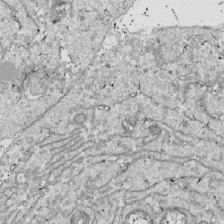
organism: Drosophila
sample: Cell division; meiosis; drosophila spermatocytes